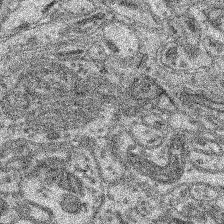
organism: Mouse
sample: Retina